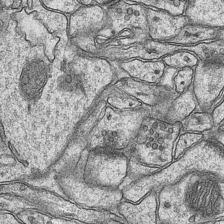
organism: Mouse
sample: CA1 Hippocampus